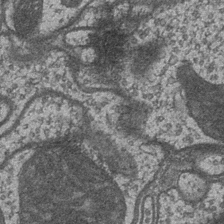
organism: Drosophila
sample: Optic medulla